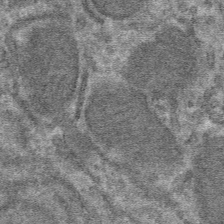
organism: Mouse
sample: Mouse hepatocytes